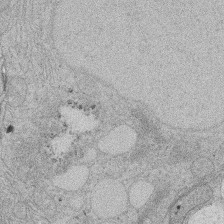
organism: Rat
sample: Salivary granule